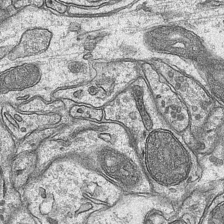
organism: Mouse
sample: CA1 Hippocampus